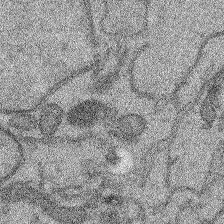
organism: Human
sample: HeLa cells